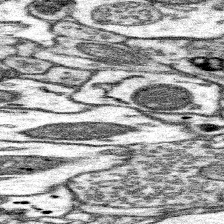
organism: Mouse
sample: Somatosensory cortex neuropil